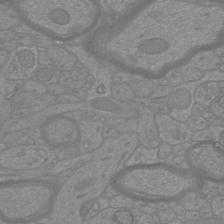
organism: Mouse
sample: Cortical neurons